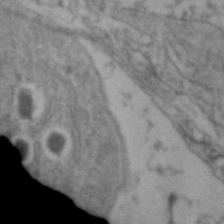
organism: Zebrafish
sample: Zebrafish embryo